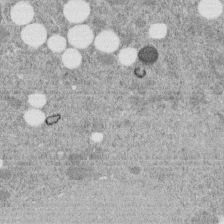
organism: C. elegans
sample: C. elegans embryo early stage